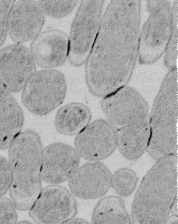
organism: E. coli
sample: Bacterial nucleoid